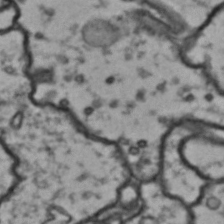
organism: Drosophila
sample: Brain